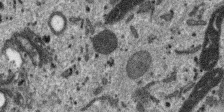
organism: Human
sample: Lung epithelial cells infected with SARS-CoV-2